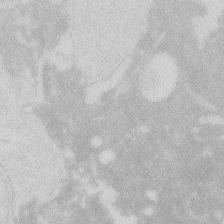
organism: Zebrafish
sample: Macrophage